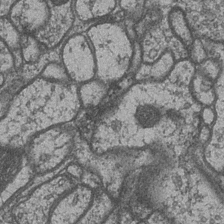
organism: Drosophila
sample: Optic medulla